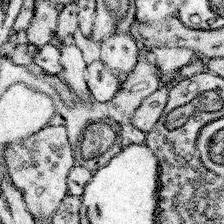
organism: Mouse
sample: Somatosensory cortex neuropil